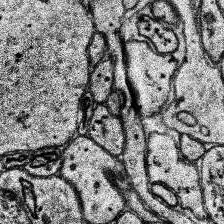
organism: Human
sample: Temporal Lobe